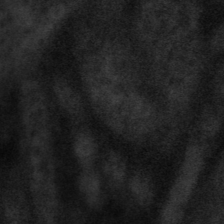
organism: Tuwongella immobilis